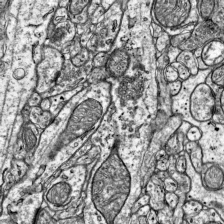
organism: Mouse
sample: Visual Cortex